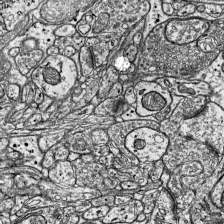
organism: Mouse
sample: Visual Cortex